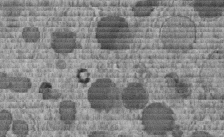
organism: C. elegans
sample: C. elegans embryo early stage